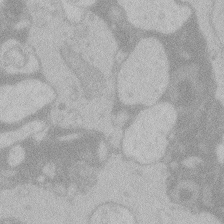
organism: Zebrafish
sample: Macrophage infected with Toxoplasma gondii